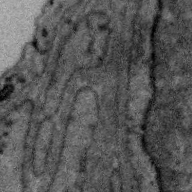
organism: Zebra finch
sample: Brain